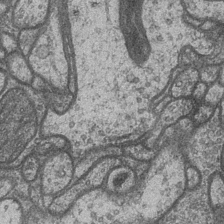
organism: Drosophila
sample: Optic medulla